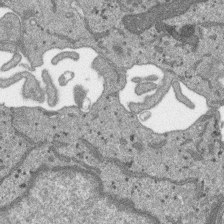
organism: Human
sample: Lung epithelial cells infected with SARS-CoV-2